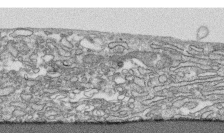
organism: Human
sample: CRL-1474